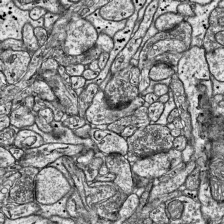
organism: Mouse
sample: Visual Cortex